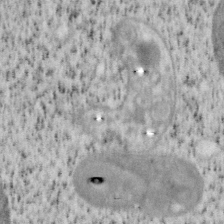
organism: Mouse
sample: OT-I killer T cells with ID8 ovarian cancer cells